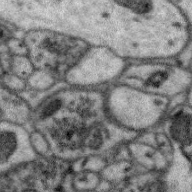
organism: Zebra finch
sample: Brain